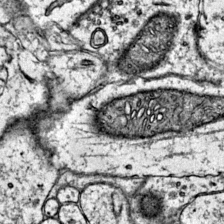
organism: Mouse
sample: Primary visual cortex